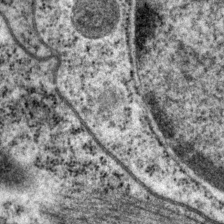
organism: P. pacificus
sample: Pharynx